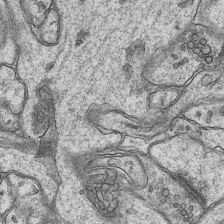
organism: Mouse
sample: CA1 Hippocampus